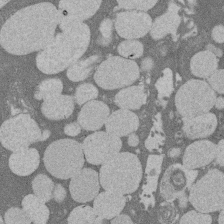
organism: Rat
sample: Salivary granule